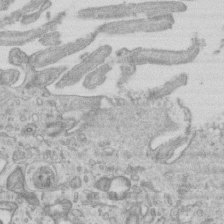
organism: Mouse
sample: Centriole in ependymal cells